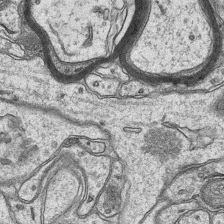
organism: Mouse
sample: CA1 Hippocampus